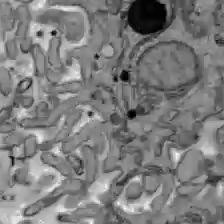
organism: C57BL Mouse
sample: Liver